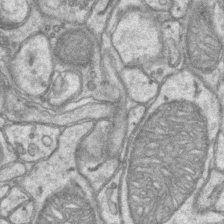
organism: Mouse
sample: CA1 Hippocampus